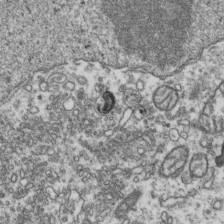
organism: Human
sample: Activated Jurkat CD4+ T cells